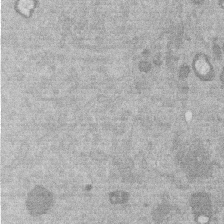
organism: Mouse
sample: Dividing mouse embryo 1 cell stage